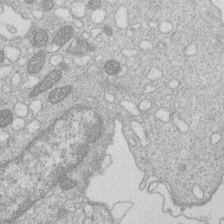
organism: Human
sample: Macrophage cells